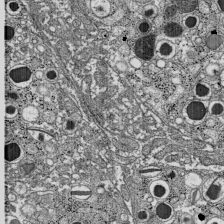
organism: C57BL Mouse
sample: Pancreatic islet